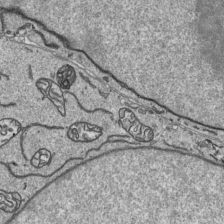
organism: Human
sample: Mitochondria in HCT116 cells